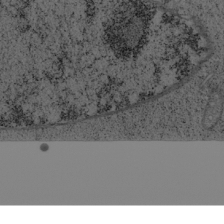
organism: African green monkey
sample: COS-7 cells